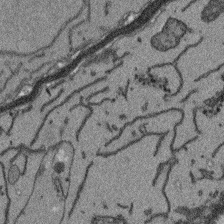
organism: Arabidopsis thaliana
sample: Root tip